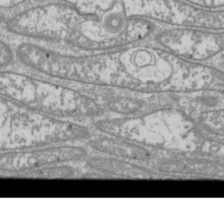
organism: Drosophila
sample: Cell division; meiosis; drosophila spermatocytes